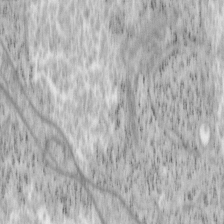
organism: Human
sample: HeLa cells